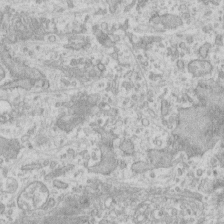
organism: Human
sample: Fibroblast cells